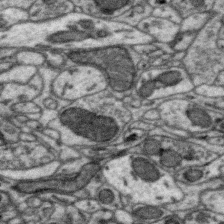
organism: Zebra finch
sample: Brain